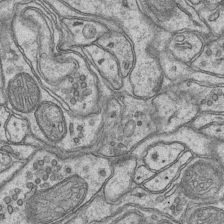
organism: Mouse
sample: CA1 Hippocampus